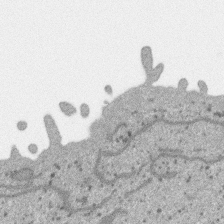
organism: Human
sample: Lung epithelial cells infected with SARS-CoV-2